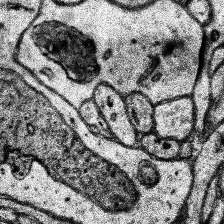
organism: Human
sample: Temporal Lobe